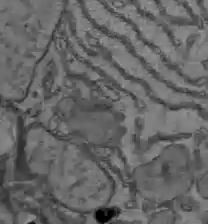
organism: C57BL Mouse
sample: Liver